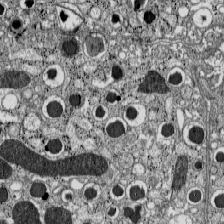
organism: C57BL Mouse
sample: Pancreatic islet